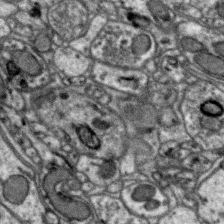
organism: Zebra finch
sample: Brain